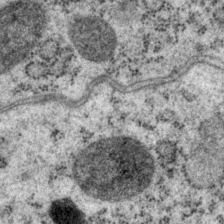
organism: P. pacificus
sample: Pharynx